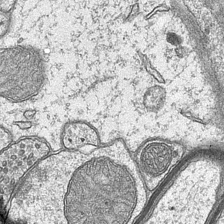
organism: Mouse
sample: CA1 Hippocampus